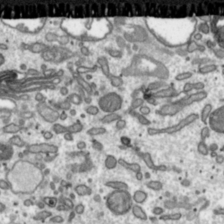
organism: Toxoplasma gondii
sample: Parasites in a vacuole inside a host cell